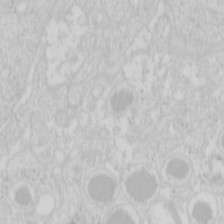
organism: Mouse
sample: Pancreas